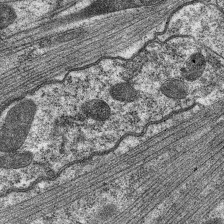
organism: C. elegans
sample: Pharynx